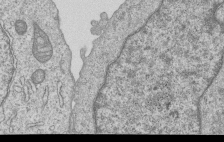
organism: Human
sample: MDA-MB-231 cells